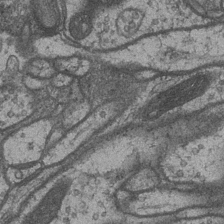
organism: Drosophila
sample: Optic medulla